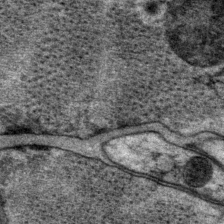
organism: P. pacificus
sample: Pharynx